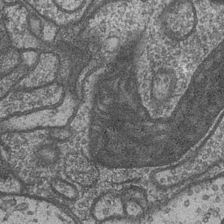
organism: Drosophila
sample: Optic medulla